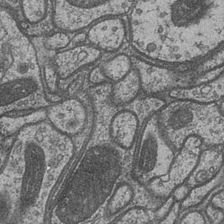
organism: Drosophila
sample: Optic medulla